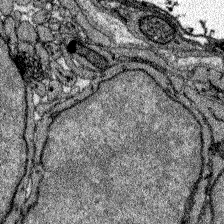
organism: Zebrafish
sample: Larval olfactory bulb